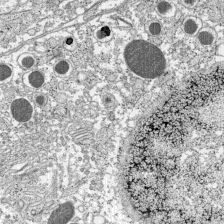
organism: C57BL Mouse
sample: Pancreatic islet